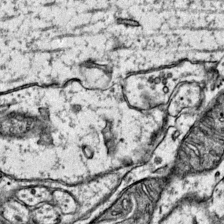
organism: Mouse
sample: Primary visual cortex